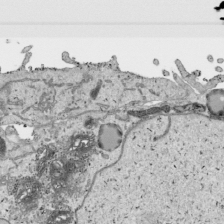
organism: Human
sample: Mitochondria in HCT116 cells